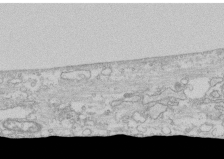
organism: Human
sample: CRL-1474